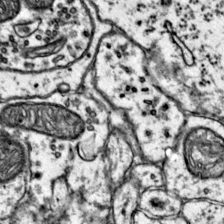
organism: Mouse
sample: Primary visual cortex